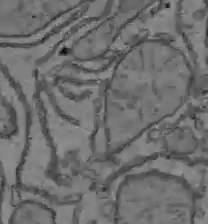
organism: C57BL Mouse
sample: Liver